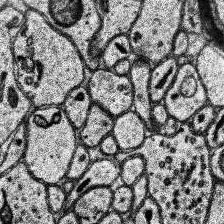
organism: Human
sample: Temporal Lobe